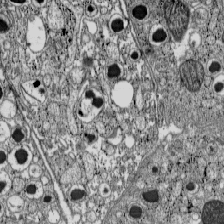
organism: C57BL Mouse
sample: Pancreatic islet